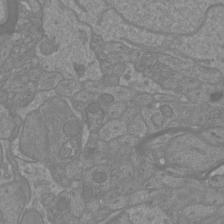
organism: Mouse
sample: Cortical neurons